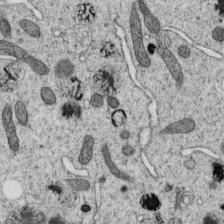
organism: C. elegans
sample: C. elegans oocyte; sperm cells